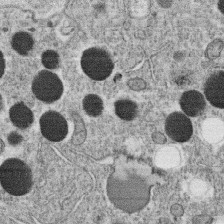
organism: C. elegans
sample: C. elegans oocyte; sperm cells